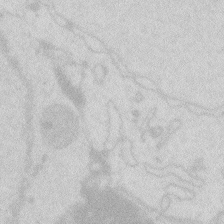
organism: Zebrafish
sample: Macrophage